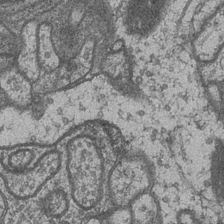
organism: Drosophila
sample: Optic medulla